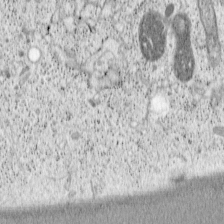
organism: African green monkey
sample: COS-7 cells